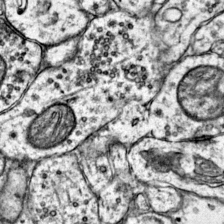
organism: Mouse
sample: Primary visual cortex